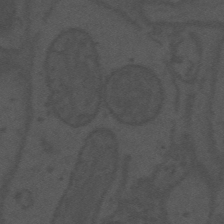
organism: Mouse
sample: Suprachiasmatic nucleus